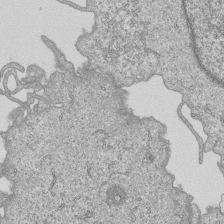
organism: Human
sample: MDA-MB-231 cells